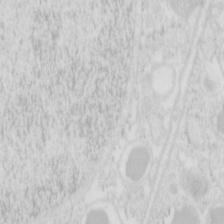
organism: Mouse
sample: Pancreas